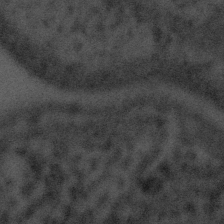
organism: Tuwongella immobilis